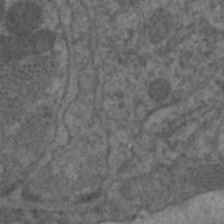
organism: C. elegans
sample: Pharynx